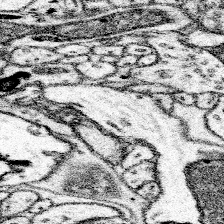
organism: Mouse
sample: Somatosensory cortex neuropil